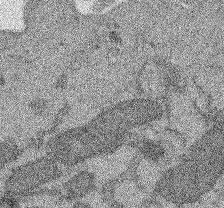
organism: Human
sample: HeLa cells